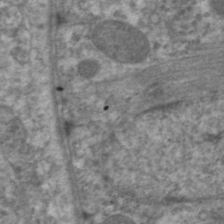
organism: C. elegans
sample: Pharynx